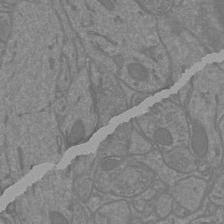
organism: Mouse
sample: Cortical neurons